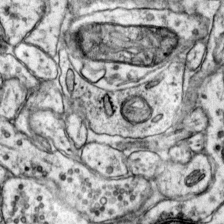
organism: Mouse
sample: Primary visual cortex